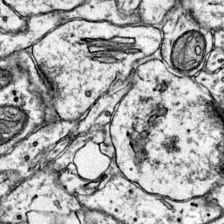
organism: Mouse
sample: Primary visual cortex